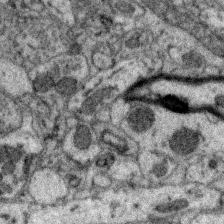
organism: Zebra finch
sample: Brain